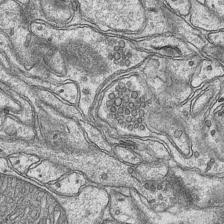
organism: Mouse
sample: CA1 Hippocampus